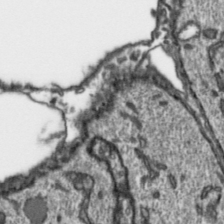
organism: Toxoplasma gondii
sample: Parasites in a vacuole inside a host cell